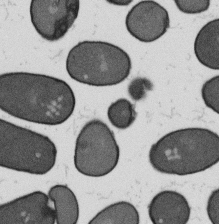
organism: B. subtilis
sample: Bacterial spore